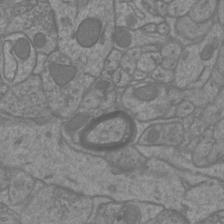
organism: Mouse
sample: Cortical neurons